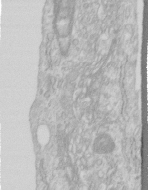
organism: Human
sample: Centriole in RPE cells